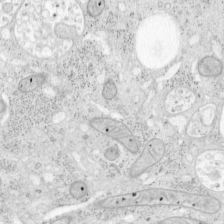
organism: Mouse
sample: OT-I killer T cells with ID8 ovarian cancer cells